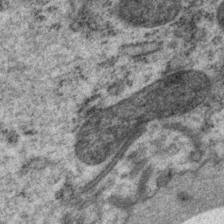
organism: P. pacificus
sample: Pharynx